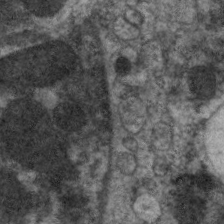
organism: C. elegans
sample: Pharynx